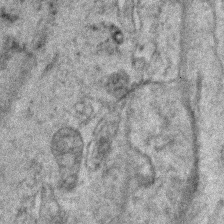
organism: Zebrafish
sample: Zebrafish embryo